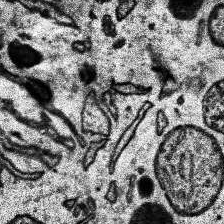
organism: Human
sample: Temporal Lobe